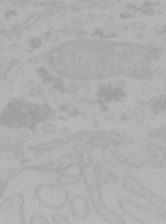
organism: Mouse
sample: Choroid plexus